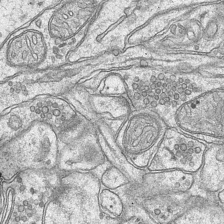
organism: Mouse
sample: CA1 Hippocampus